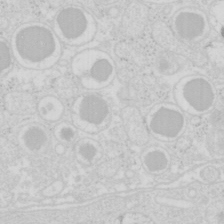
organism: Mouse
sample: Pancreas